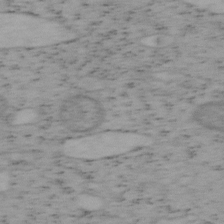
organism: Mouse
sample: OT-I killer T cells with ID8 ovarian cancer cells